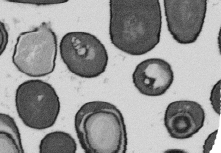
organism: B. subtilis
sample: Bacterial spore